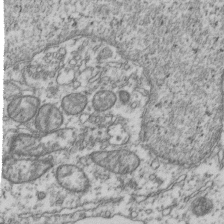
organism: Human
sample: Activated Jurkat CD4+ T cells